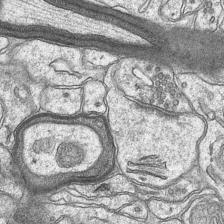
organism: Mouse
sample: CA1 Hippocampus